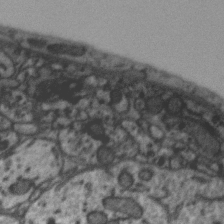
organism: Zebra finch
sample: Brain